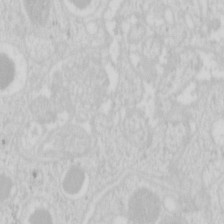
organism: Mouse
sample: Pancreas